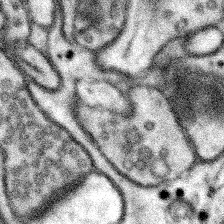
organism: Mouse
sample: Somatosensory cortex neuropil